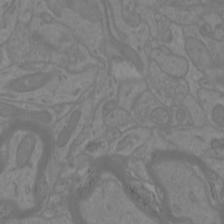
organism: Mouse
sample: Cortical neurons